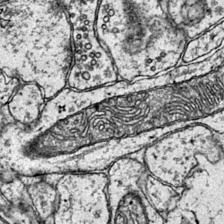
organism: Mouse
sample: Primary visual cortex